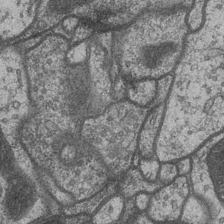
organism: Drosophila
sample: Optic medulla